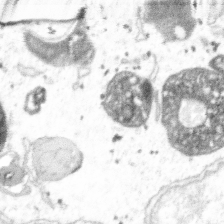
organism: Human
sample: HeLa cells